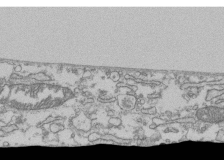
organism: Human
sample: Fibroblast cells